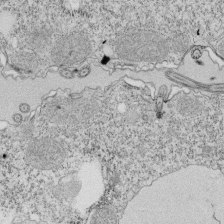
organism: Tetrahymena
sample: Cilia in tetrahymena